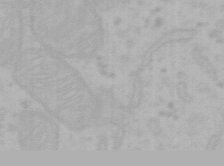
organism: Mouse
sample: Choroid plexus